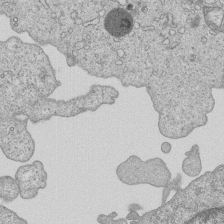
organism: Human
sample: MDA-MB-231 cells